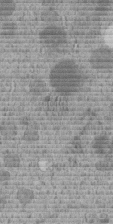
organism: C. elegans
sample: C. elegans embryo early stage